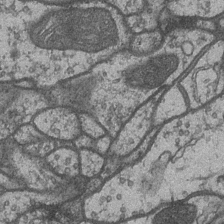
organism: Drosophila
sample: Optic medulla